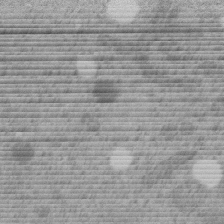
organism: C. elegans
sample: C. elegans embryo early stage